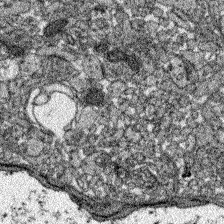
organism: Zebrafish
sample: Larval olfactory bulb